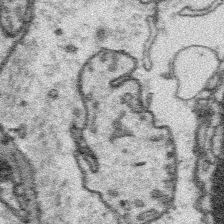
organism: Platynereis dumerilii